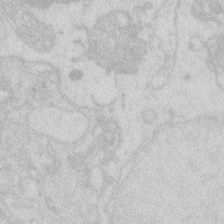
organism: Zebrafish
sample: Macrophage